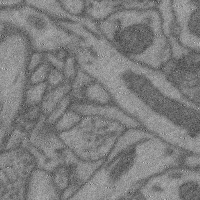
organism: Mouse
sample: Cerebral cortex